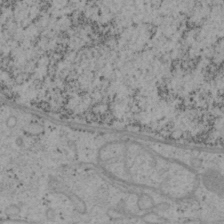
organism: Human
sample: HeLa cells